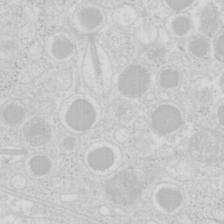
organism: Mouse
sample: Pancreas